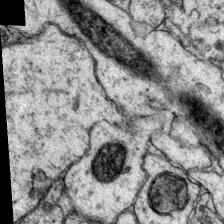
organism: Mouse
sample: Primary visual cortex